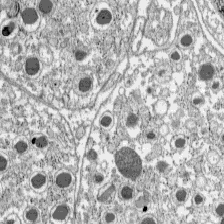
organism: C57BL Mouse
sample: Pancreatic islet